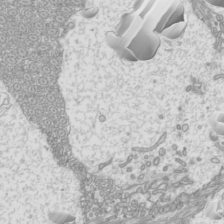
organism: Mouse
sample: Cilia; mouse epididymis